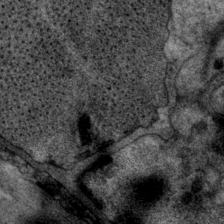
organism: P. pacificus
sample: Pharynx